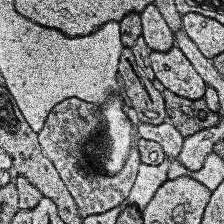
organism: Human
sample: Temporal Lobe